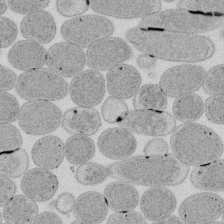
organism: E. coli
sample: Bacterial nucleoid